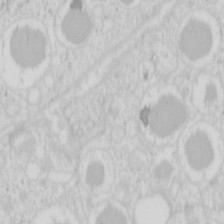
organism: Mouse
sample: Pancreas